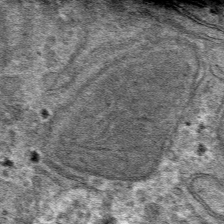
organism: Mouse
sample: Mouse hepatocytes